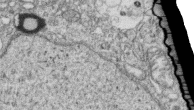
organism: Human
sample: HeLa cell HIV synapse